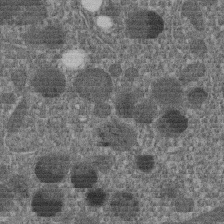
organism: C. elegans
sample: C. elegans embryo early stage